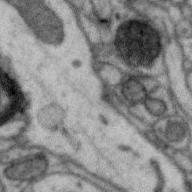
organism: Zebra finch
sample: Brain